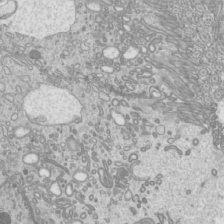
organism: Mouse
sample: Cilia; mouse epididymis